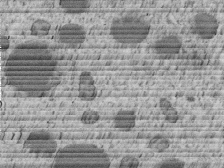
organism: C. elegans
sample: C. elegans embryo early stage